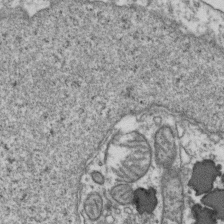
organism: Human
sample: Activated Jurkat CD4+ T cells